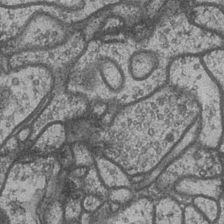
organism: Drosophila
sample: Optic medulla